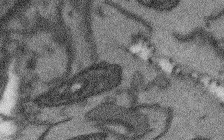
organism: Arabidopsis thaliana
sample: Root tip